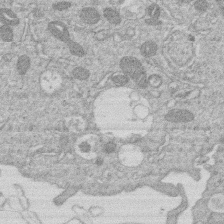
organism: Human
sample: Macrophage cells